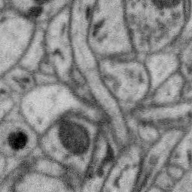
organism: Zebra finch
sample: Brain